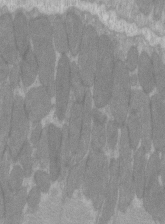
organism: C57BL Mouse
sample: Tibialis anterior muscle cell